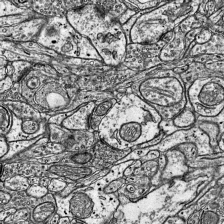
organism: Mouse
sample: Visual Cortex